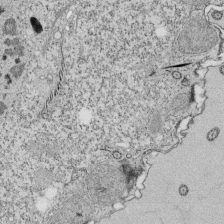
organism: Tetrahymena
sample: Cilia in tetrahymena